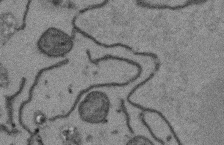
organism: Arabidopsis thaliana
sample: Root tip